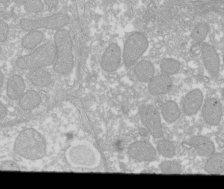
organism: Xenopus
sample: Cilia; centrioles in frog embryo cells